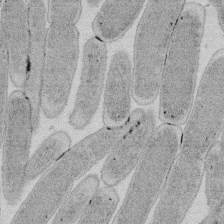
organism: E. coli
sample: Bacterial nucleoid